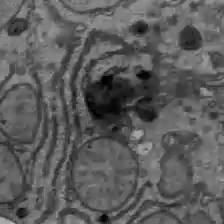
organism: C57BL Mouse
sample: Liver